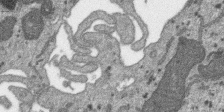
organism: Human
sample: Lung epithelial cells infected with SARS-CoV-2